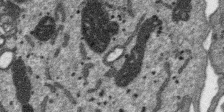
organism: Human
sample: Lung epithelial cells infected with SARS-CoV-2